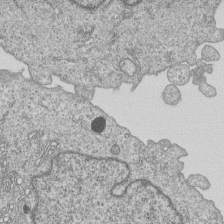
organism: Human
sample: MDA-MB-231 cells